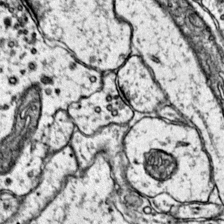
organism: Mouse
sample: Primary visual cortex